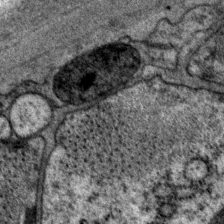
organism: P. pacificus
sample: Pharynx